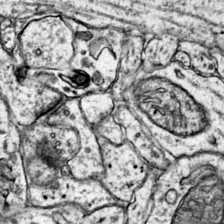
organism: Mouse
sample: Primary visual cortex